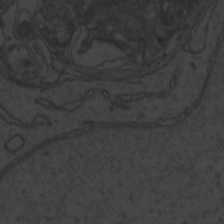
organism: Zebrafish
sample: Macrophage infected with Toxoplasma gondii